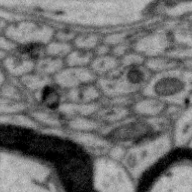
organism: Zebra finch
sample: Brain